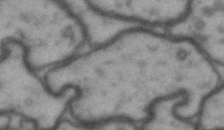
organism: Drosophila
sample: Brain